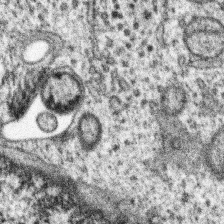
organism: Human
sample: HeLa cells